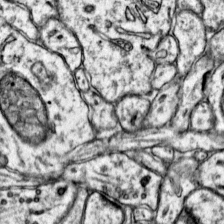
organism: Mouse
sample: Primary visual cortex